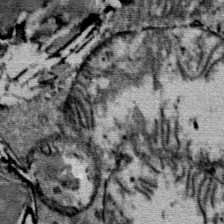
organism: Mouse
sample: Mouse Salivary gland